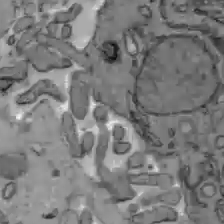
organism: C57BL Mouse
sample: Liver